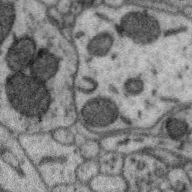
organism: Zebra finch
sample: Brain